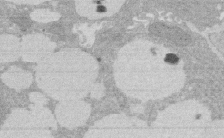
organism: Rat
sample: Salivary granule